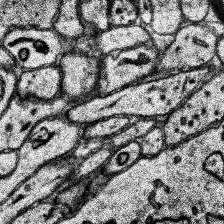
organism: Human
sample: Temporal Lobe